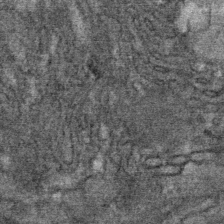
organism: Mouse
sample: Mouse Salivary gland